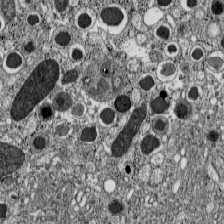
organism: C57BL Mouse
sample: Pancreatic islet